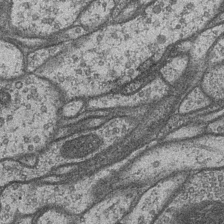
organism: Drosophila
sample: Optic medulla